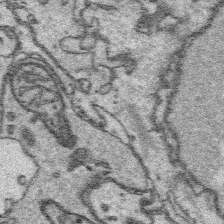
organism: Platynereis dumerilii